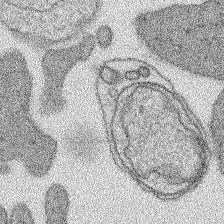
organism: Human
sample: HeLa cells